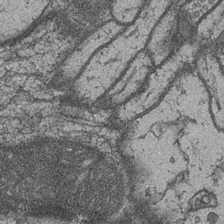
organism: Drosophila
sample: Optic medulla